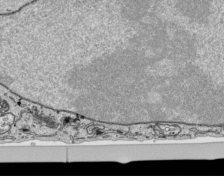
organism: Human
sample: Mitochondria in HCT116 cells